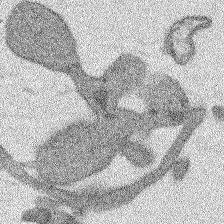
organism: Human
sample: HeLa cells